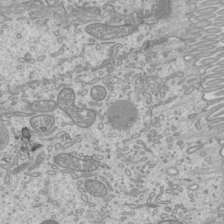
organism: Mouse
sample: Cilia; mouse epididymis